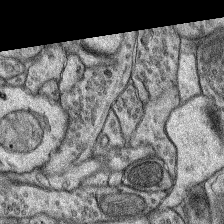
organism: Rat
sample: Hippocampus